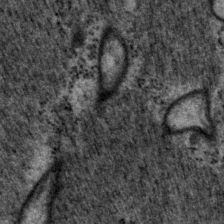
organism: P. pacificus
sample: Pharynx